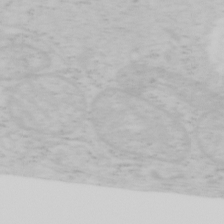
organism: Mouse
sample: OT-I killer T cells with ID8 ovarian cancer cells